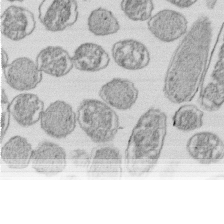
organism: E. coli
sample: Bacterial nucleoid